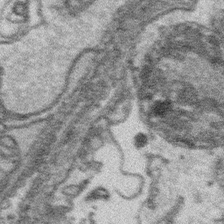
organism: Platynereis dumerilii